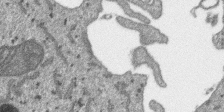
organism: Human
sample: Lung epithelial cells infected with SARS-CoV-2